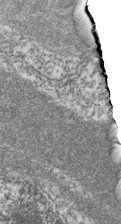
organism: Zebrafish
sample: Cilia; retinal pigment epithelium